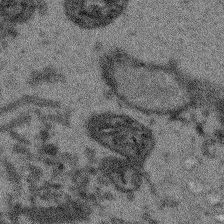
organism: Arabidopsis thaliana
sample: Root tip